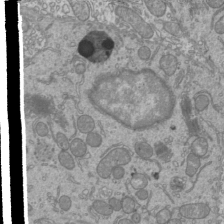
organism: Mouse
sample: Cilia; mouse epididymis